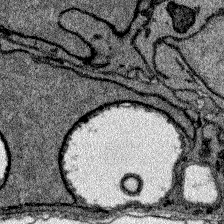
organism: Zebrafish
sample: Larval olfactory bulb